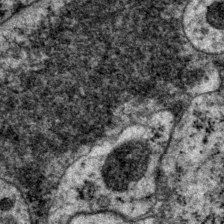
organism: P. pacificus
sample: Pharynx